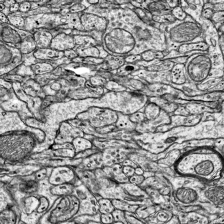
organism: Mouse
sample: Visual Cortex